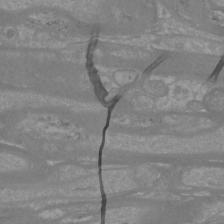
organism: Mouse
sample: Cortical neurons